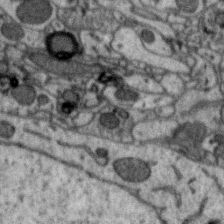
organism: Zebra finch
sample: Brain